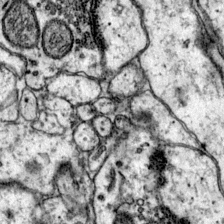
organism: Mouse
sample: Primary visual cortex